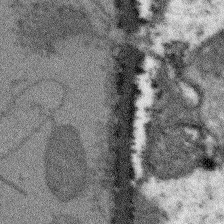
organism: Arabidopsis thaliana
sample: Root tip